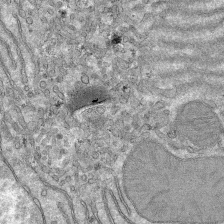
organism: Mouse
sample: Mouse hepatocytes